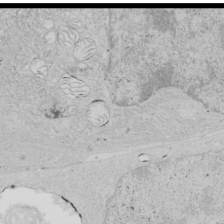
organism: Human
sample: Mitochondria in HCT116 cells